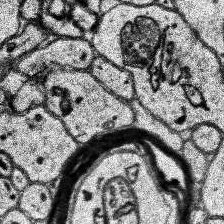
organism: Human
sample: Temporal Lobe